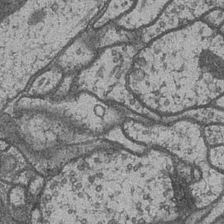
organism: Drosophila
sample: Optic medulla